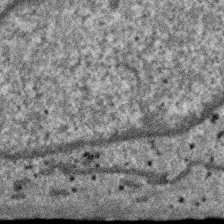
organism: Human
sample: Lung epithelial cells infected with SARS-CoV-2